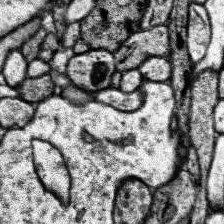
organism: Human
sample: Temporal Lobe